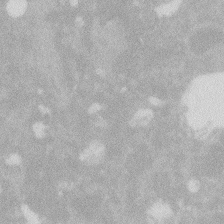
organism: Zebrafish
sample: Macrophage